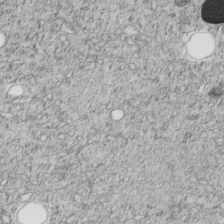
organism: C. elegans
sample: C. elegans embryo early stage